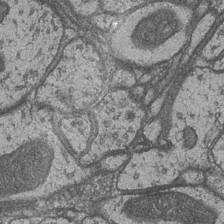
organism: Drosophila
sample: Optic medulla